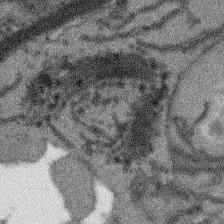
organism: Arabidopsis thaliana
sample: Root tip